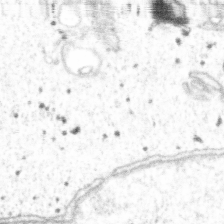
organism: Human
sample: HeLa cells